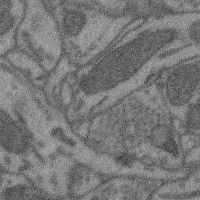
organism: Mouse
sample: Cerebral cortex